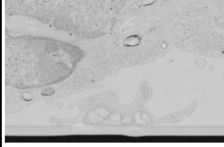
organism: Human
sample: Mitochondria in HCT116 cells